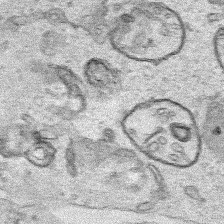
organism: Human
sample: Mitochondria in HCT116 cells